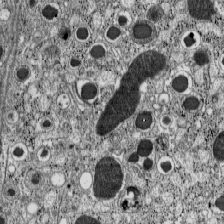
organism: C57BL Mouse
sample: Pancreatic islet